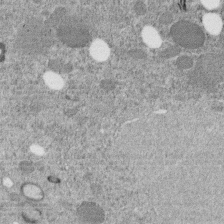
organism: C. elegans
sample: C. elegans embryo early stage